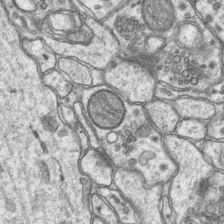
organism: Mouse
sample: CA1 Hippocampus